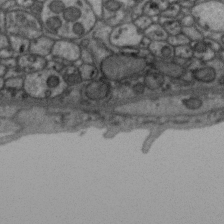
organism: Zebra finch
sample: Brain